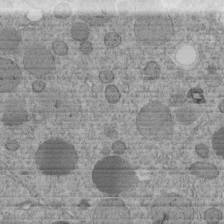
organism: C. elegans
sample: C. elegans embryo early stage